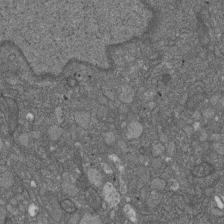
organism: Drosophila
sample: Nephrocyte